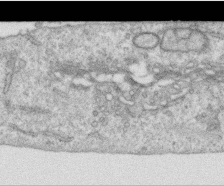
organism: Human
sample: Centriole in RPE cells